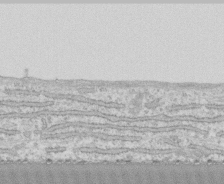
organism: Human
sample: CRL-1474